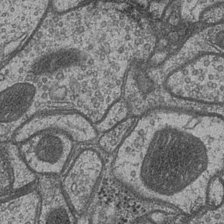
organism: Drosophila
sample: Optic medulla